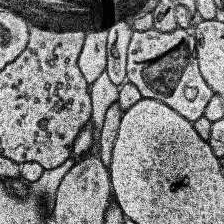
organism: Human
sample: Temporal Lobe